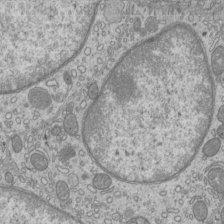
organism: Mouse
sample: Cilia; mouse epididymis